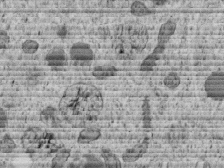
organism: C. elegans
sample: C. elegans embryo early stage